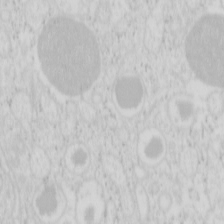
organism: Mouse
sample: Pancreas